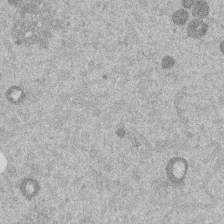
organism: Mouse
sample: Dividing mouse embryo 1 cell stage